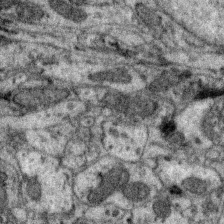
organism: Zebra finch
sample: Brain